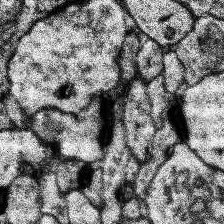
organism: Human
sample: Temporal Lobe